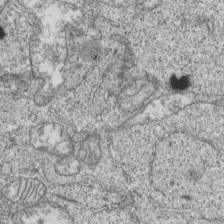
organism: Human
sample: HeLa cell HIV synapse